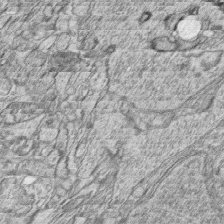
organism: Zebrafish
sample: synaptic ribbons in rod cells and cone cells